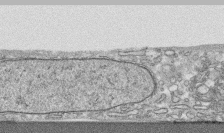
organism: Human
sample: CRL-1474